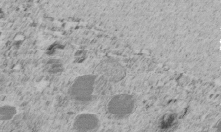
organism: C. elegans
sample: C. elegans embryo early stage